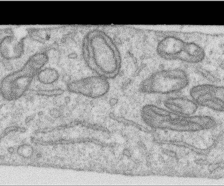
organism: Human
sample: Centriole in RPE cells